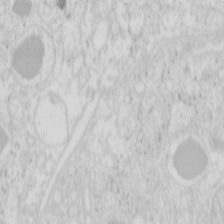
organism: Mouse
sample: Pancreas